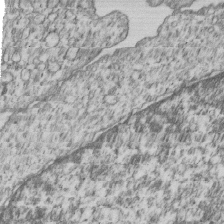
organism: Human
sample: MDA-MB-231 cells